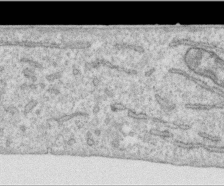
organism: Human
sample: Centriole in RPE cells